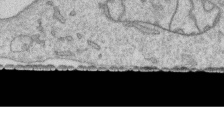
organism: Human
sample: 1205lu cells